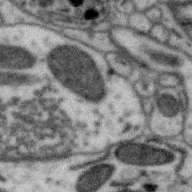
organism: Zebra finch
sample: Brain